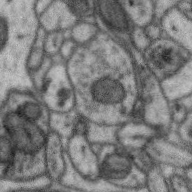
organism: Zebra finch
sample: Brain